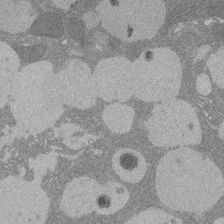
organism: Rat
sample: Salivary granule